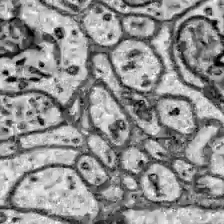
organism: Zebrafish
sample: Brain